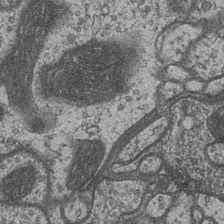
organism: Drosophila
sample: Optic medulla